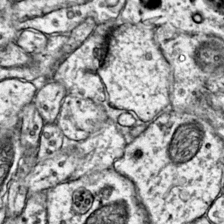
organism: Mouse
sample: Primary visual cortex